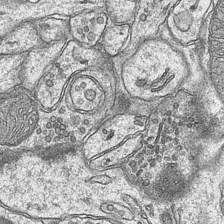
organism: Mouse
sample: CA1 Hippocampus